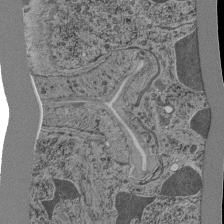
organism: C. elegans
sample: C. elegans pharynx